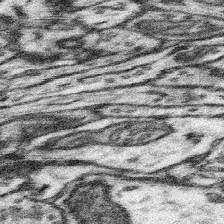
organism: Mouse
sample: Somatosensory cortex neuropil